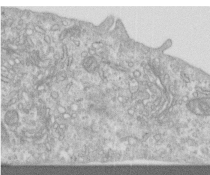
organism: Human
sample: Centriole in RPE cells